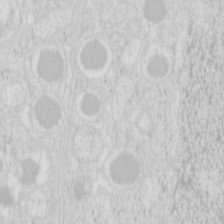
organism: Mouse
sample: Pancreas